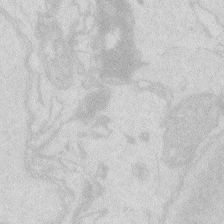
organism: Zebrafish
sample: Macrophage